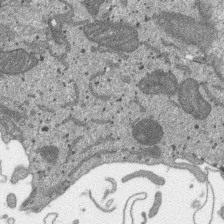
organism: Human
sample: Lung epithelial cells infected with SARS-CoV-2